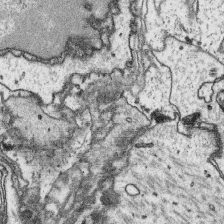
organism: Platynereis dumerilii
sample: Parapodia